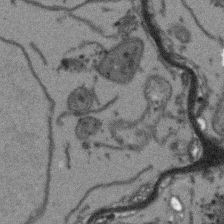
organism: Arabidopsis thaliana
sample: Root tip